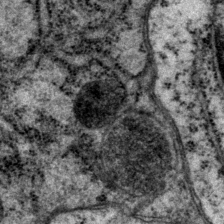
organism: P. pacificus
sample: Pharynx